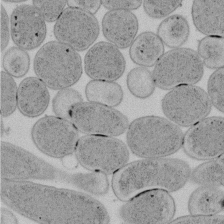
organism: E. coli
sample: Bacterial nucleoid